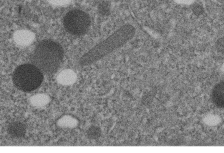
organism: C. elegans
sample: C. elegans embryo early stage